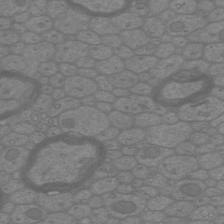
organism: Mouse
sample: Cortical neurons